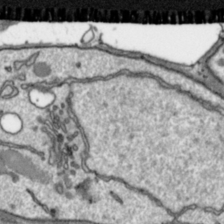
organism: Toxoplasma gondii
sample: Parasites in a vacuole inside a host cell